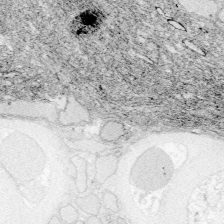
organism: Zebrafish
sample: Whole-Brain